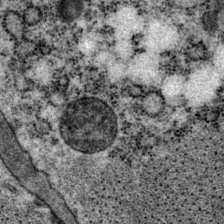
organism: P. pacificus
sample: Pharynx